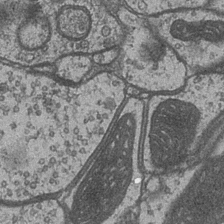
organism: Drosophila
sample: Optic medulla